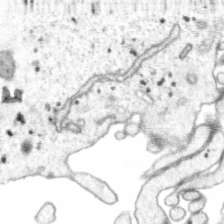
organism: Human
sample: HeLa cells